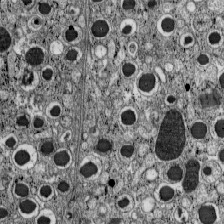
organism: C57BL Mouse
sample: Pancreatic islet